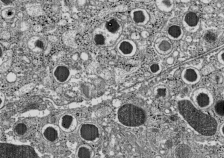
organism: C57BL Mouse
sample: Pancreatic islet